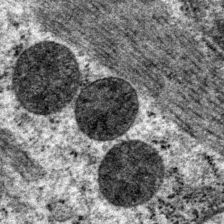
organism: P. pacificus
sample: Pharynx